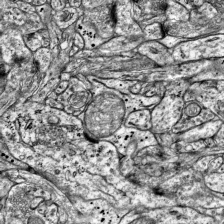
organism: Mouse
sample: Visual Cortex